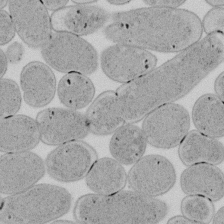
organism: E. coli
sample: Bacterial nucleoid